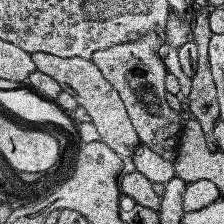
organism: Human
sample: Temporal Lobe